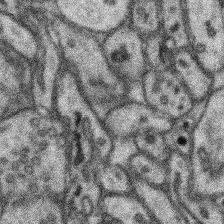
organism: Mouse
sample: Somatosensory cortex neuropil